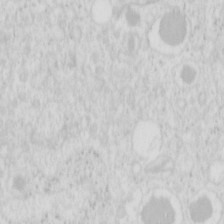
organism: Mouse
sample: Pancreas